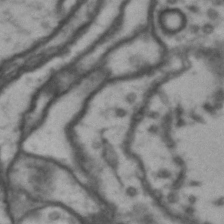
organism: Drosophila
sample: Brain